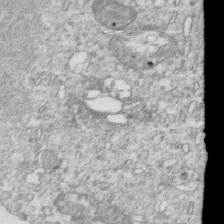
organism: Mouse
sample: Activated OT-1 CD8+ T cells